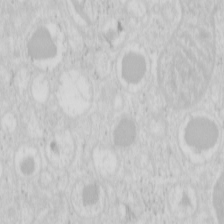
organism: Mouse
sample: Pancreas